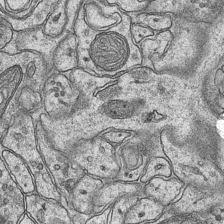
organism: Mouse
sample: CA1 Hippocampus